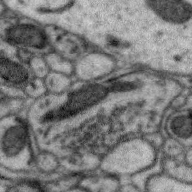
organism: Zebra finch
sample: Brain